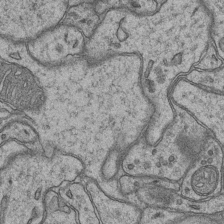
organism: Mouse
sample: CA1 Hippocampus